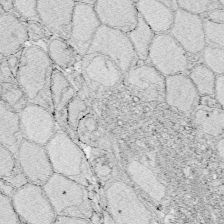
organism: Zebrafish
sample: Whole-Brain